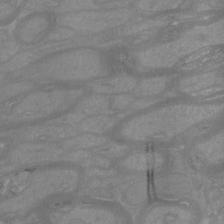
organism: Mouse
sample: Cortical neurons